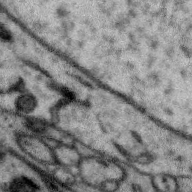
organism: Zebra finch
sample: Brain